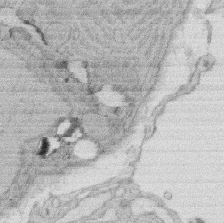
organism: Rat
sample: Salivary granule